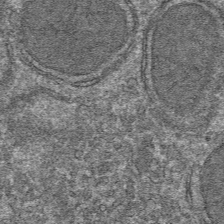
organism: Mouse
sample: Mouse hepatocytes